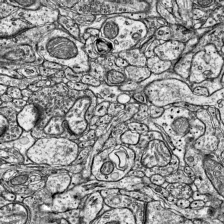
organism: Mouse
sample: Visual Cortex